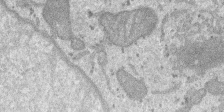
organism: Human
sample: Lung epithelial cells infected with SARS-CoV-2